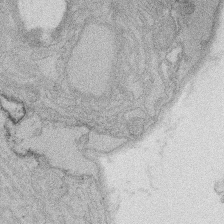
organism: Rat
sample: Salivary granule